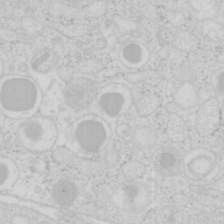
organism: Mouse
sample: Pancreas